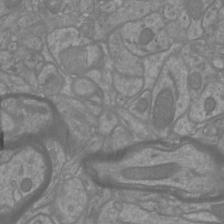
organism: Mouse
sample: Cortical neurons